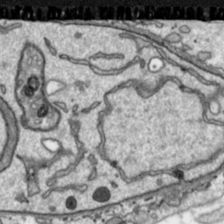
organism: Toxoplasma gondii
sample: Parasites in a vacuole inside a host cell